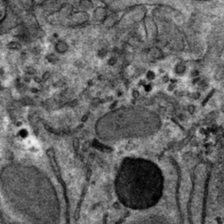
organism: Mouse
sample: Mouse hepatocytes